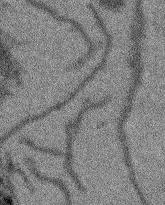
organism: Arabidopsis thaliana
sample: Root tip